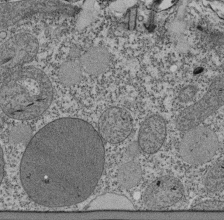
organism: Tetrahymena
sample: Cilia in tetrahymena